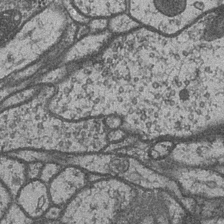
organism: Drosophila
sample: Optic medulla